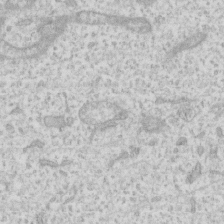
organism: Human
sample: Fibroblast cells